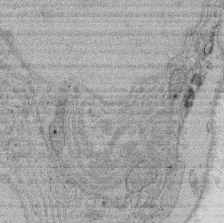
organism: Rat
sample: Salivary granule